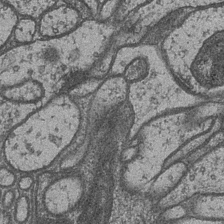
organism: Drosophila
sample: Optic medulla